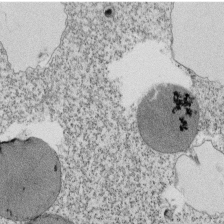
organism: Tetrahymena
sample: Cilia in tetrahymena